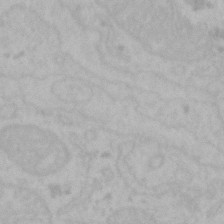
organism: Mouse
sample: Choroid plexus